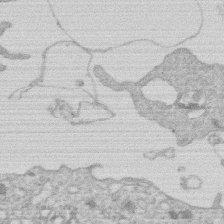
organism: Human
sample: Macrophage cells